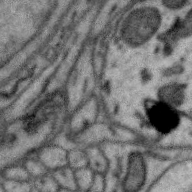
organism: Zebra finch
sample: Brain